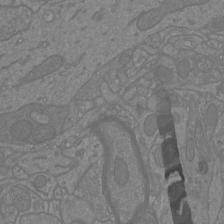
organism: Mouse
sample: Cortical neurons